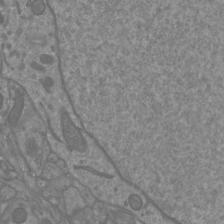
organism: Mouse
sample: Cortical neurons